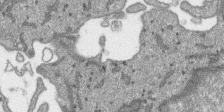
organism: Human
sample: Lung epithelial cells infected with SARS-CoV-2